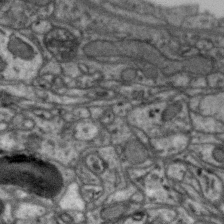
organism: Zebra finch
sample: Brain